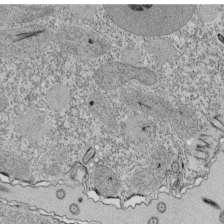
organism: Tetrahymena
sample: Cilia in tetrahymena